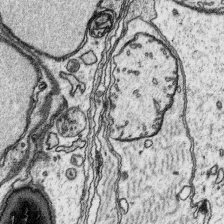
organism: Platynereis dumerilii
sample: Parapodia